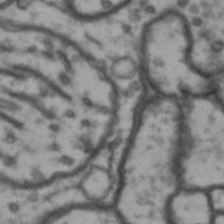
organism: Drosophila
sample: Brain